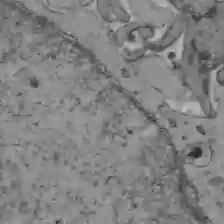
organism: C57BL Mouse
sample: Liver